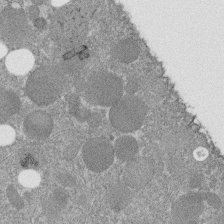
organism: C. elegans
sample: C. elegans embryo early stage